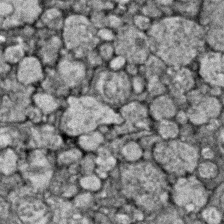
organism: Zebrafish